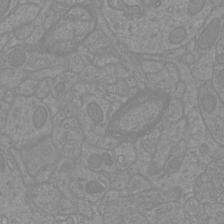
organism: Mouse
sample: Cortical neurons